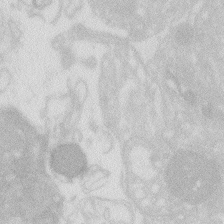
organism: Zebrafish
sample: Macrophage